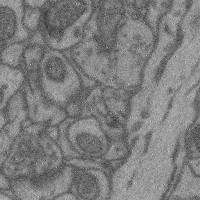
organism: Mouse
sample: Cerebral cortex